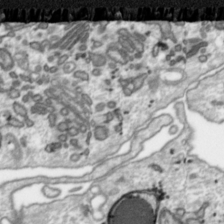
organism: Toxoplasma gondii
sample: Parasites in a vacuole inside a host cell